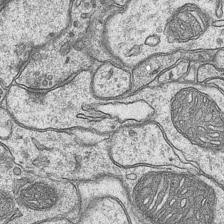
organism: Mouse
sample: CA1 Hippocampus